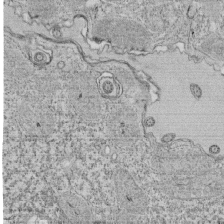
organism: Tetrahymena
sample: Cilia in tetrahymena